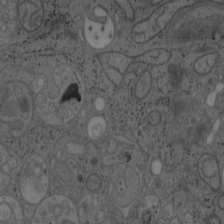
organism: Mouse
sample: OT-I killer T cells with ID8 ovarian cancer cells